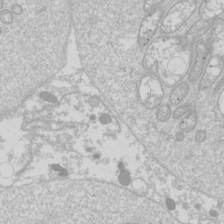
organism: Drosophila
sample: Cell division; meiosis; drosophila spermatocytes